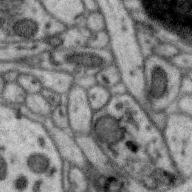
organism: Zebra finch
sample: Brain